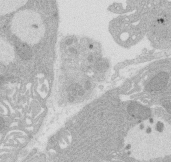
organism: Rat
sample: Salivary granule